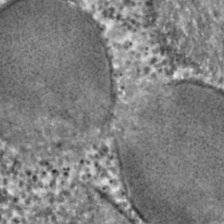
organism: C. elegans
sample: C. elegans embryo